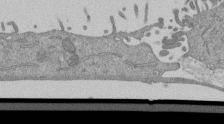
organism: Mouse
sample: ED-1 cell nuclei; centrioles